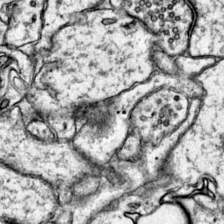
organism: Mouse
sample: Primary visual cortex